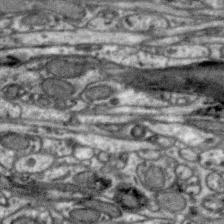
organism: Zebra finch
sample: Brain